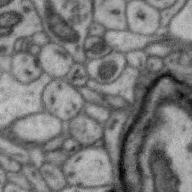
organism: Zebra finch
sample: Brain